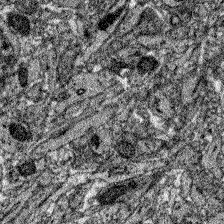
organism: Zebrafish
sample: Larval olfactory bulb